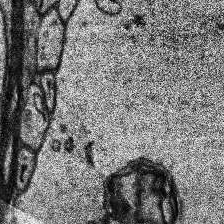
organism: Human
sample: Temporal Lobe